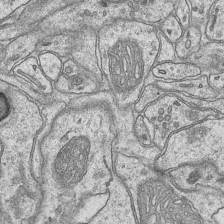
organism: Mouse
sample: CA1 Hippocampus